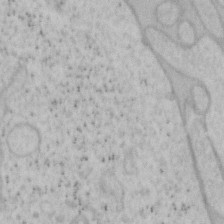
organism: Human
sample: HeLa cells